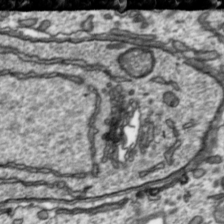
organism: Toxoplasma gondii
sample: Parasites in a vacuole inside a host cell